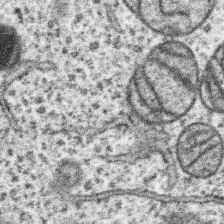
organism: Human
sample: HeLa cells